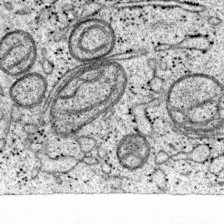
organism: Human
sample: HeLa cells